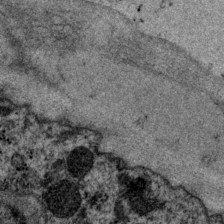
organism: P. pacificus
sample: Pharynx